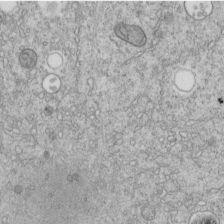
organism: C. elegans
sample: C. elegans embryo early stage